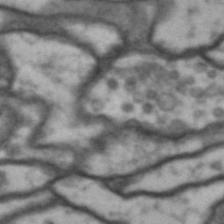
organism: Drosophila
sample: Brain